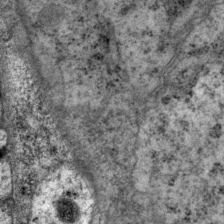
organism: P. pacificus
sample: Pharynx